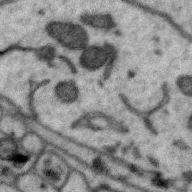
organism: Zebra finch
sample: Brain